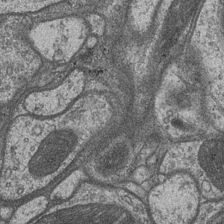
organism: Drosophila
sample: Optic medulla